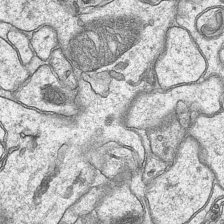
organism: Mouse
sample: CA1 Hippocampus